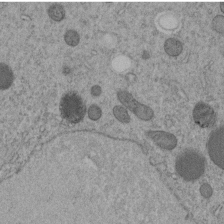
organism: C. elegans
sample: C. elegans embryo early stage